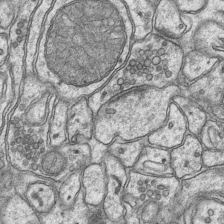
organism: Mouse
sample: CA1 Hippocampus